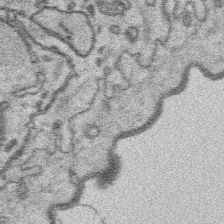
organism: Platynereis dumerilii